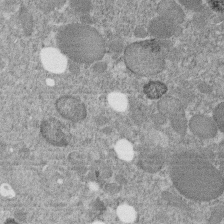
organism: C. elegans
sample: C. elegans embryo early stage